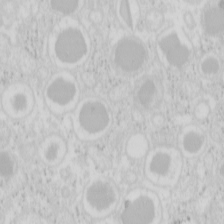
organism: Mouse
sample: Pancreas